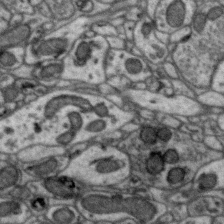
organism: Zebra finch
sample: Brain